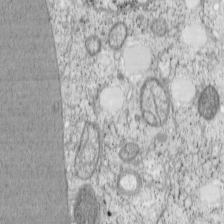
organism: African green monkey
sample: COS-7 cells